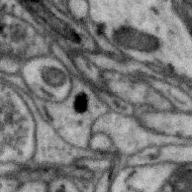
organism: Zebra finch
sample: Brain